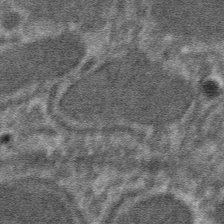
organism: Mouse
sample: Mouse hepatocytes